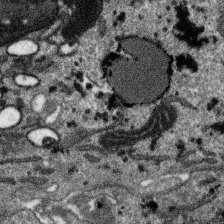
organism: Human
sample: Lung epithelial cells infected with SARS-CoV-2